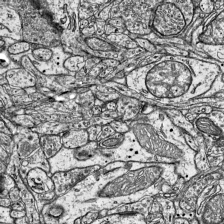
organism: Mouse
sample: Visual Cortex